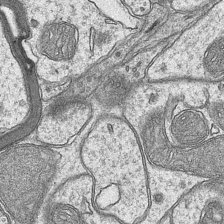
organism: Mouse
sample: CA1 Hippocampus